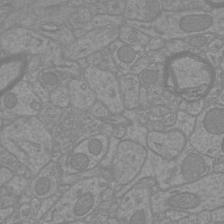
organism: Mouse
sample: Cortical neurons